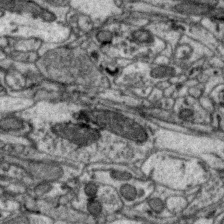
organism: Zebra finch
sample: Brain